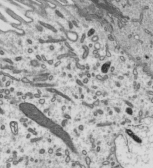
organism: Mouse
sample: Mouse epididymis efferent ductule cilia